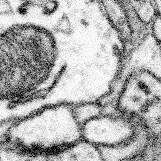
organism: Mouse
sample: Somatosensory cortex neuropil